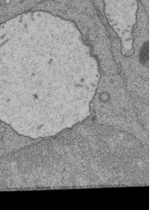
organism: Human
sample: Retinal organoid Rod and Cone cells